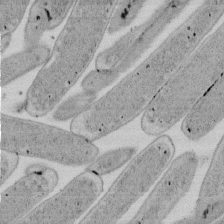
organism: E. coli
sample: Bacterial nucleoid